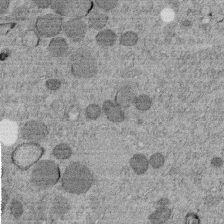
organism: C. elegans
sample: C. elegans embryo early stage